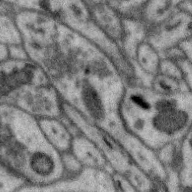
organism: Zebra finch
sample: Brain